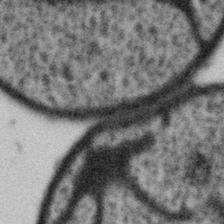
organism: Gemmata obscuriglobus